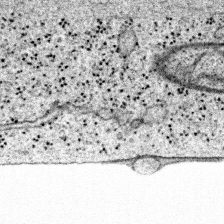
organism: Human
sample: HeLa cells